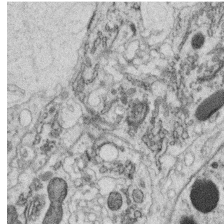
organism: C. elegans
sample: C. elegans oocyte; sperm cells